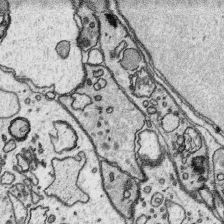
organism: Platynereis dumerilii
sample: Parapodia